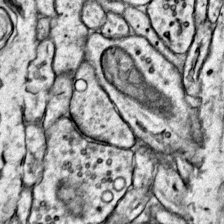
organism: Mouse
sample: Primary visual cortex